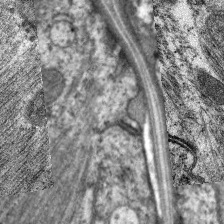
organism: C. elegans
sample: Pharynx